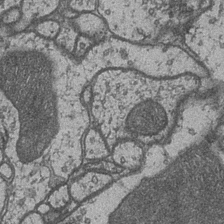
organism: Drosophila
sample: Optic medulla